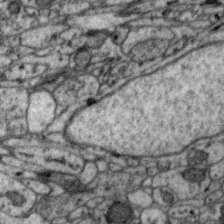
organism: Zebra finch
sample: Brain